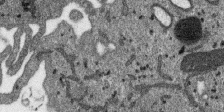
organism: Human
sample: Lung epithelial cells infected with SARS-CoV-2